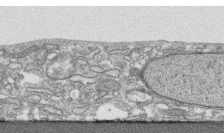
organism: Human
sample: CRL-1474